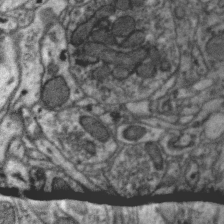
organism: Zebra finch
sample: Brain